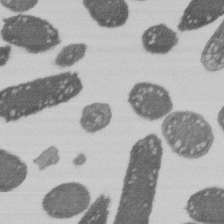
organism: E. coli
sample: Bacterial nucleoid